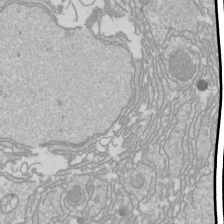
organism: Drosophila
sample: Cell division; meiosis; drosophila spermatocytes